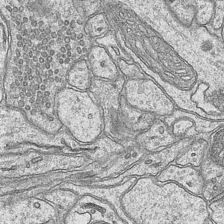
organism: Mouse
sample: CA1 Hippocampus